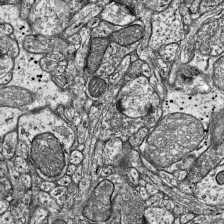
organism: Mouse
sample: Visual Cortex